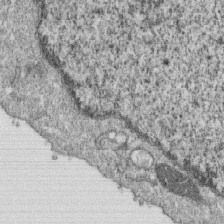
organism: African green monkey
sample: Vero E6 cells infected with SARS-CoV-2